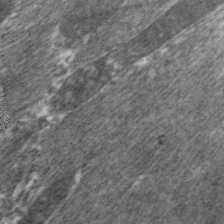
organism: C. elegans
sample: Pharynx